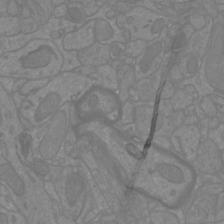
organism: Mouse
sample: Cortical neurons